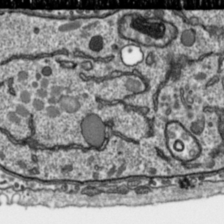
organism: Toxoplasma gondii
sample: Parasites in a vacuole inside a host cell